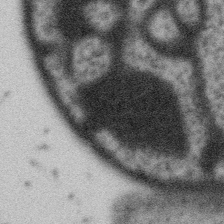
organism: Gemmata obscuriglobus